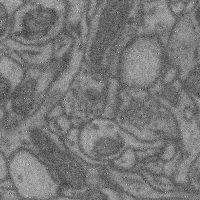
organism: Mouse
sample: Cerebral cortex